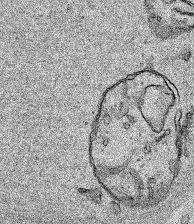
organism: Human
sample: Mitochondria in HCT116 cells